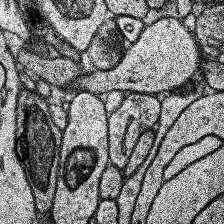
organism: Human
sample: Temporal Lobe